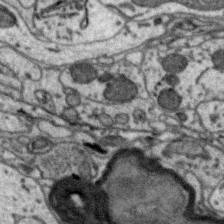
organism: Zebra finch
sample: Brain